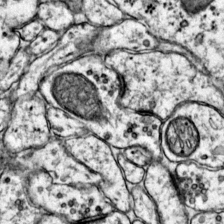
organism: Mouse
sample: Primary visual cortex